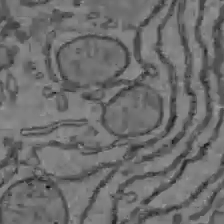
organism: C57BL Mouse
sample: Liver